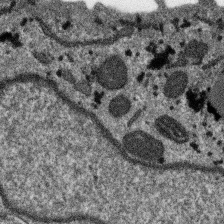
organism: Human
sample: Lung epithelial cells infected with SARS-CoV-2